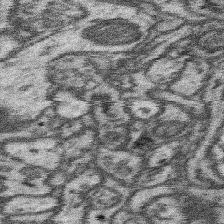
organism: Mouse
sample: Somatosensory cortex neuropil